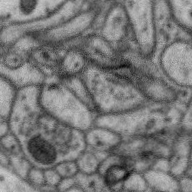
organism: Zebra finch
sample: Brain